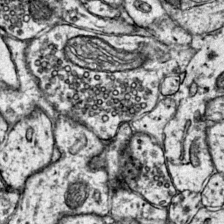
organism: Mouse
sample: Primary visual cortex